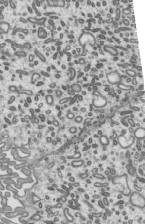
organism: Mouse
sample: Mouse epididymis efferent ductule cilia